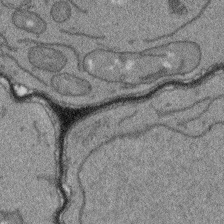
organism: Arabidopsis thaliana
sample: Root tip